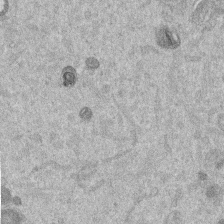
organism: Mouse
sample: Dividing mouse embryo 1 cell stage